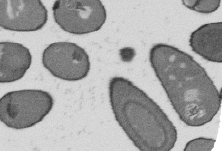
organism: B. subtilis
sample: Bacterial spore